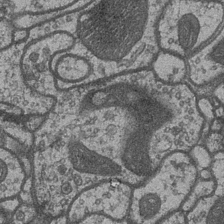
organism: Drosophila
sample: Optic medulla